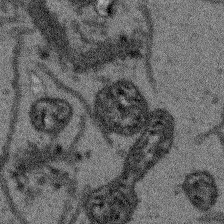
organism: Arabidopsis thaliana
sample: Root tip